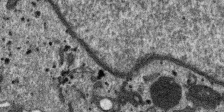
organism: Human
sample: Lung epithelial cells infected with SARS-CoV-2